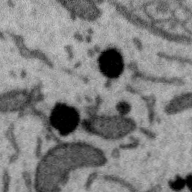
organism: Zebra finch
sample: Brain